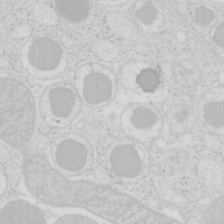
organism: Mouse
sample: Pancreas